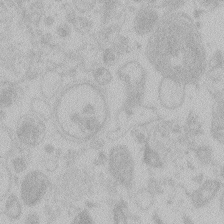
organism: Zebrafish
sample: Macrophage infected with Toxoplasma gondii